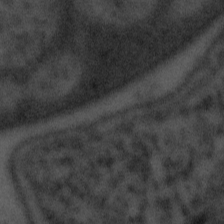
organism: Tuwongella immobilis